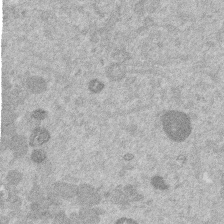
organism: Mouse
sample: Dividing mouse embryo 1 cell stage